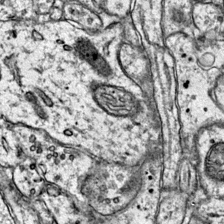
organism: Mouse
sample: Primary visual cortex